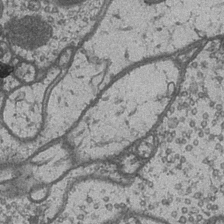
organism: Drosophila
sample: Optic medulla